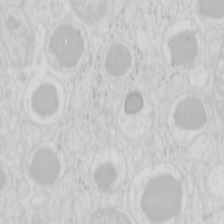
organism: Mouse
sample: Pancreas